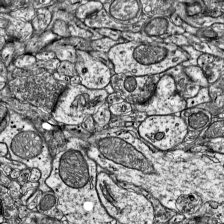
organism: Mouse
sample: Visual Cortex